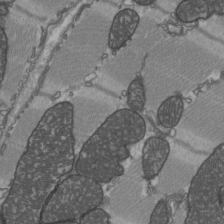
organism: C57BL Mouse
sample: Heart